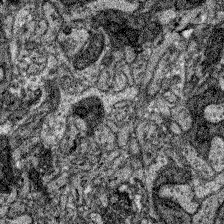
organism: Zebrafish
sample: Larval olfactory bulb